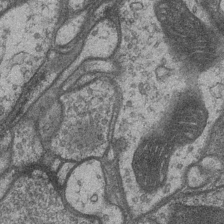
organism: Drosophila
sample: Optic medulla